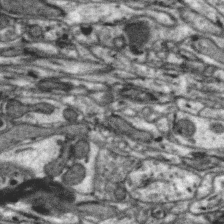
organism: Zebra finch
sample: Brain